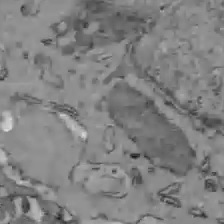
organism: C57BL Mouse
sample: Liver